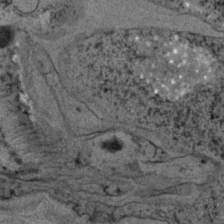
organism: C. elegans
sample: C. elegans embryo